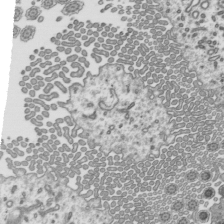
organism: Mouse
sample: Mouse epididymis efferent ductule cilia